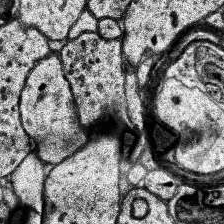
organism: Human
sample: Temporal Lobe